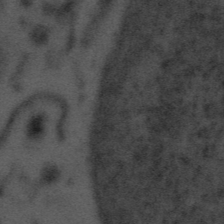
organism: Tuwongella immobilis